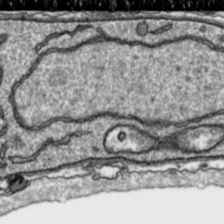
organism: Toxoplasma gondii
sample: Parasites in a vacuole inside a host cell